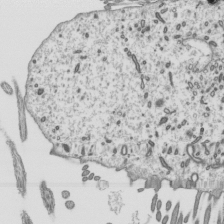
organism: Mouse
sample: Mouse epididymis efferent ductule cilia